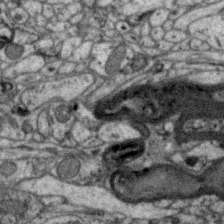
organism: Zebra finch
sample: Brain